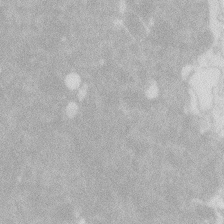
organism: Zebrafish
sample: Macrophage